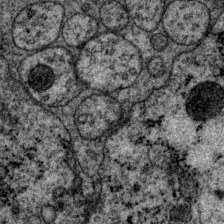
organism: P. pacificus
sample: Pharynx